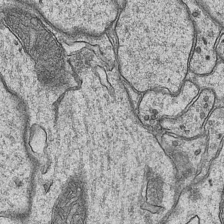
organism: Mouse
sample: CA1 Hippocampus